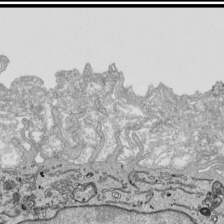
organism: Human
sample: Mitochondria in HCT116 cells